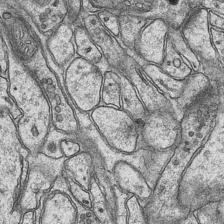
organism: Mouse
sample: CA1 Hippocampus